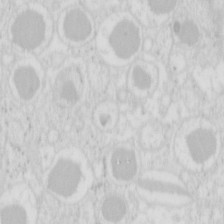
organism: Mouse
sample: Pancreas